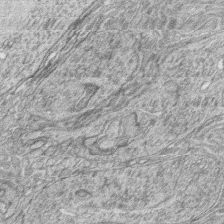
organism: Zebrafish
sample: synaptic ribbons in rod cells and cone cells